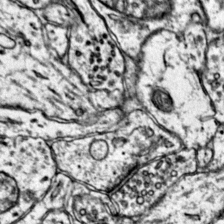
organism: Mouse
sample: Primary visual cortex